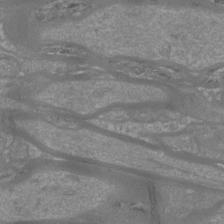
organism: Mouse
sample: Cortical neurons